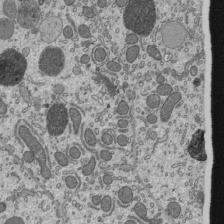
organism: Mouse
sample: Mouse epididymis efferent ductule cilia